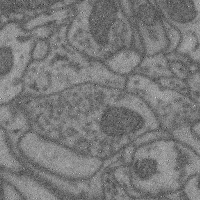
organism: Mouse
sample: Cerebral cortex